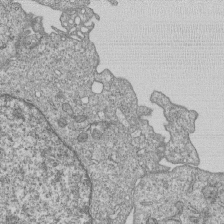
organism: Human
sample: MDA-MB-231 cells